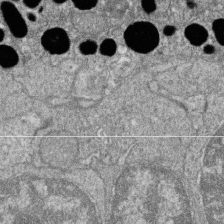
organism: Zebrafish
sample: Cilia; retinal pigment epithelium